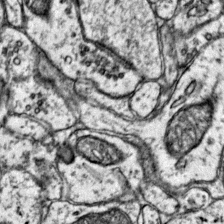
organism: Mouse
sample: Primary visual cortex